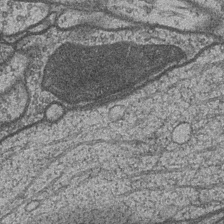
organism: Drosophila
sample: Optic medulla